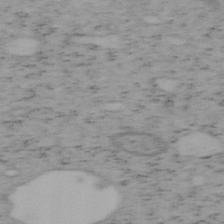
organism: Mouse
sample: OT-I killer T cells with ID8 ovarian cancer cells